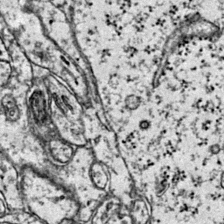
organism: Mouse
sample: Primary visual cortex